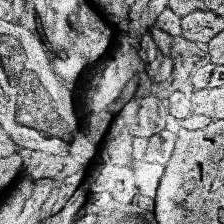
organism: Human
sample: Temporal Lobe